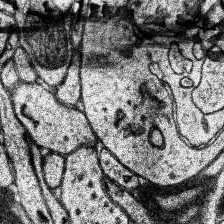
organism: Human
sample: Temporal Lobe